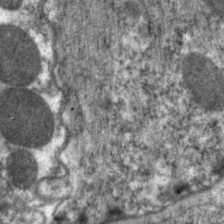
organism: C. elegans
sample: Pharynx